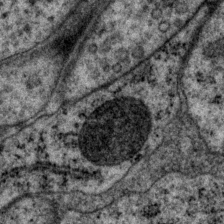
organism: P. pacificus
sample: Pharynx